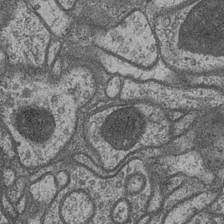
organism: Drosophila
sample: Optic medulla